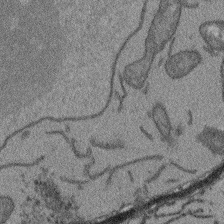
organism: Arabidopsis thaliana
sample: Root tip